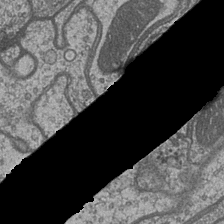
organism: Drosophila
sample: Optic medulla